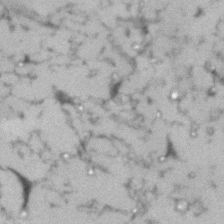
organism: Human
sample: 1205lu cells